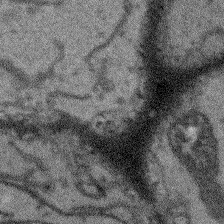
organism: Arabidopsis thaliana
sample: Root tip